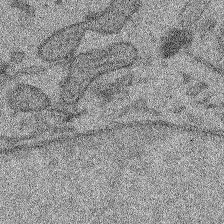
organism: Human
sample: HeLa cells